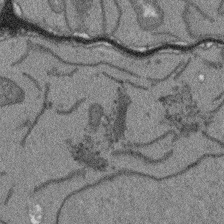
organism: Arabidopsis thaliana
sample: Root tip